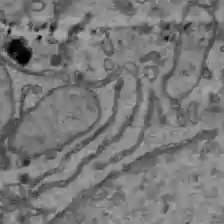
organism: C57BL Mouse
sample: Liver